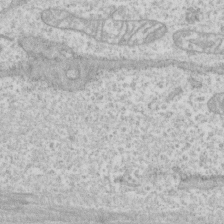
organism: Human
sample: CRL-1474